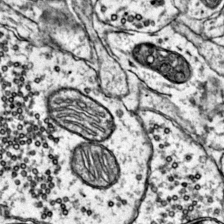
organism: Mouse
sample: Primary visual cortex